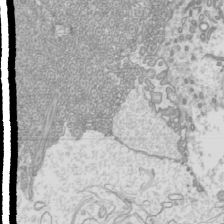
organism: Mouse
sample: Cilia; mouse epididymis